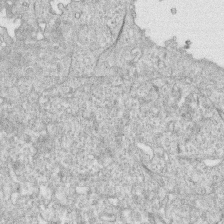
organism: Human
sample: HeLa cell HIV synapse